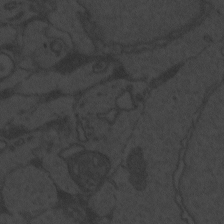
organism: Zebrafish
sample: Macrophage infected with Toxoplasma gondii